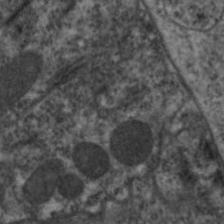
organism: C. elegans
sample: Pharynx